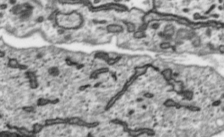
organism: Toxoplasma gondii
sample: Parasites in a vacuole inside a host cell